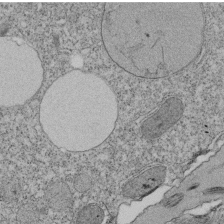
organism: Tetrahymena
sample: Cilia in tetrahymena